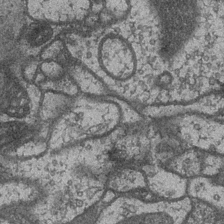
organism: Drosophila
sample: Optic medulla